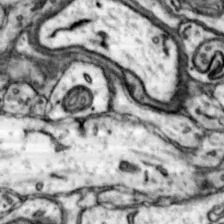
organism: Mouse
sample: Nucleus accumbens